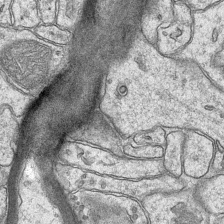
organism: Mouse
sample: CA1 Hippocampus